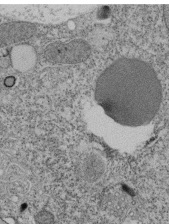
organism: Tetrahymena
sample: Cilia in tetrahymena